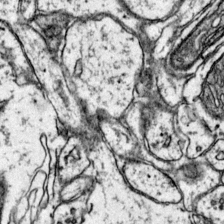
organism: Mouse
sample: Primary visual cortex